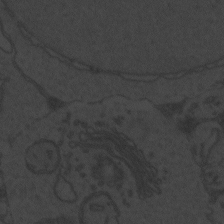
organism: Zebrafish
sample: Macrophage infected with Toxoplasma gondii